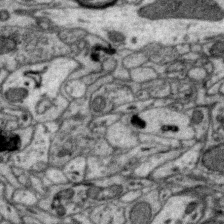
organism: Zebra finch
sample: Brain